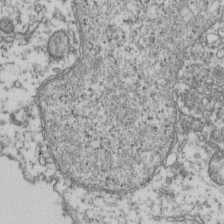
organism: Human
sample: Activated Jurkat CD4+ T cells